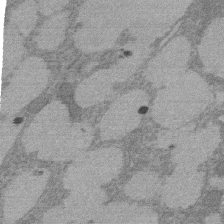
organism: Rat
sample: Salivary granule